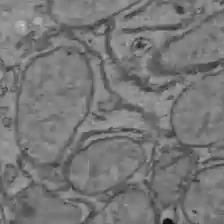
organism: C57BL Mouse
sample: Liver